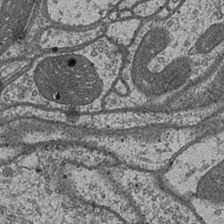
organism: Drosophila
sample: Optic medulla